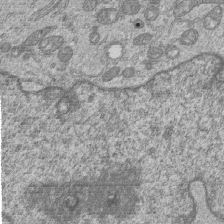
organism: Human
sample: MDA-MB-231 cells